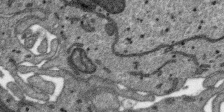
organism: Human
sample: Lung epithelial cells, uninfected (mock) control